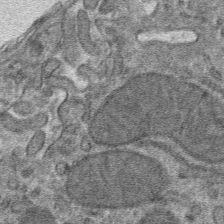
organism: Mouse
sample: Mouse hepatocytes